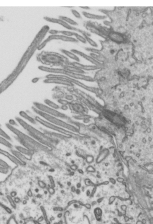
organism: Mouse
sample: Mouse epididymis efferent ductule cilia